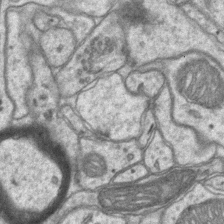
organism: Mouse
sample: CA1 Hippocampus